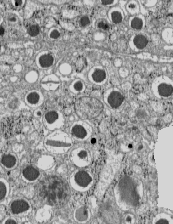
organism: C57BL Mouse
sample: Pancreatic islet